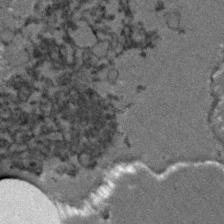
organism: Zebrafish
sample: Zebrafish embryo